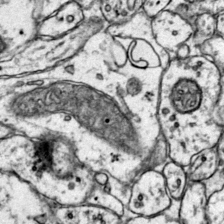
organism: Mouse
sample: Primary visual cortex